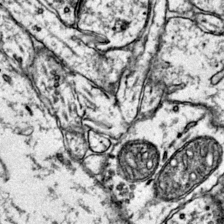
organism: Mouse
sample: Primary visual cortex